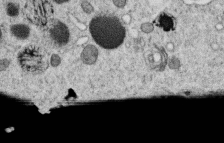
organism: C. elegans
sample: C. elegans oocyte; sperm cells